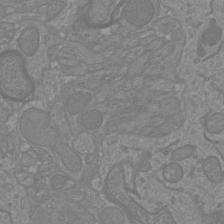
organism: Mouse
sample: Cortical neurons